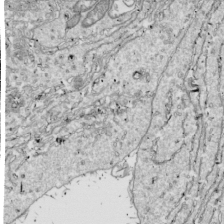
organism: Drosophila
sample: Cell division; meiosis; drosophila spermatocytes